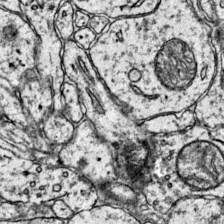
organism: Mouse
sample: Primary visual cortex